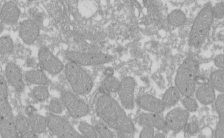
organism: Xenopus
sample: Cilia; centrioles in frog embryo cells